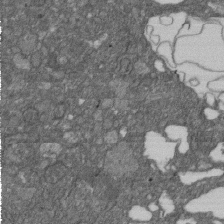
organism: Drosophila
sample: Nephrocyte